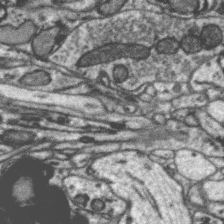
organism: Zebra finch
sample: Brain